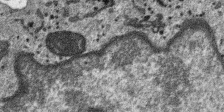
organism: Human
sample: Lung epithelial cells infected with SARS-CoV-2